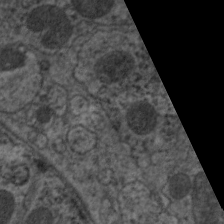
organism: C. elegans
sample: Pharynx